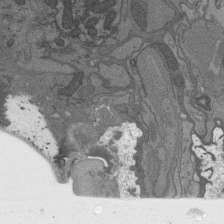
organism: C. elegans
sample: AFD neurons C. elegans